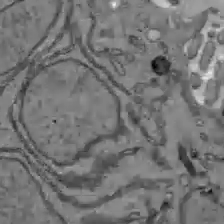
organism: C57BL Mouse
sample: Liver